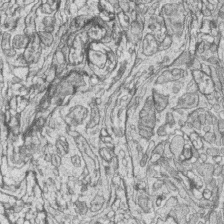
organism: Zebrafish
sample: synaptic ribbons in rod cells and cone cells